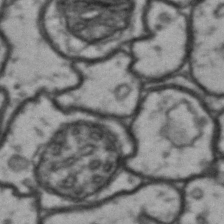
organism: Drosophila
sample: Brain